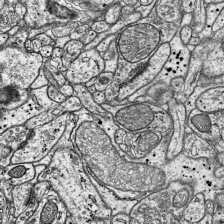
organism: Mouse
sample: Visual Cortex